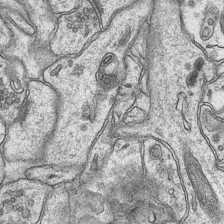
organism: Mouse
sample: CA1 Hippocampus